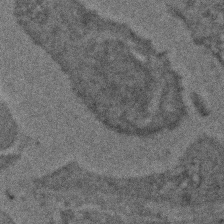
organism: Zebrafish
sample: Zebrafish embryo